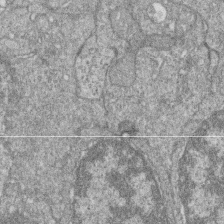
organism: Zebrafish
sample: Cilia; retinal pigment epithelium